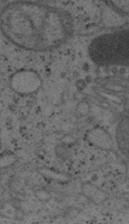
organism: Human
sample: HeLa cells